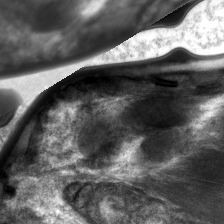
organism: C. elegans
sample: Pharynx